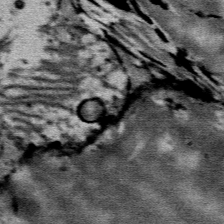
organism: Mouse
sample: Mouse Salivary gland